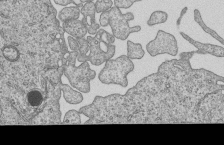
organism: Human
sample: MDA-MB-231 cells